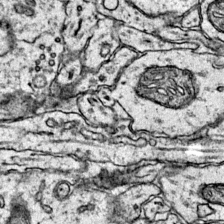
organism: Mouse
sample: Primary visual cortex